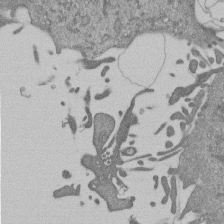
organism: Mouse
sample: ED-1 cell nuclei; centrioles